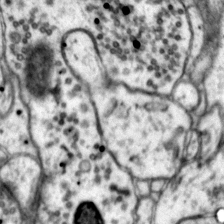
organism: Mouse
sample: Primary visual cortex